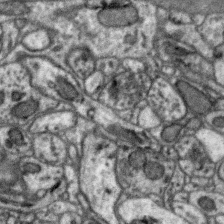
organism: Zebra finch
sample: Brain